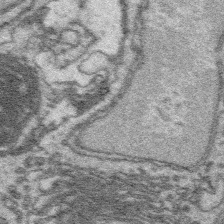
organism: Platynereis dumerilii